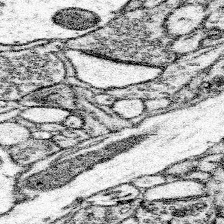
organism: Mouse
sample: Somatosensory cortex neuropil